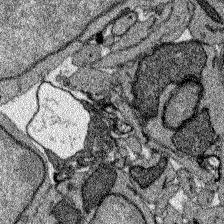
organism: Zebrafish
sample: Larval olfactory bulb